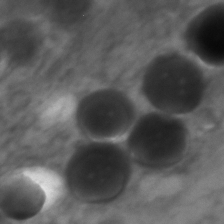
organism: Zebrafish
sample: Zebrafish embryo